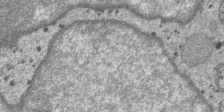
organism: Human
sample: Lung epithelial cells infected with SARS-CoV-2